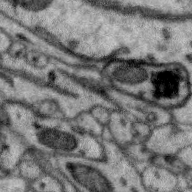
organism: Zebra finch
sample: Brain